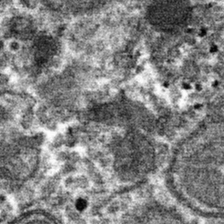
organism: Mouse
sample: Mouse hepatocytes